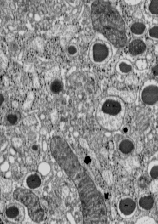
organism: C57BL Mouse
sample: Pancreatic islet